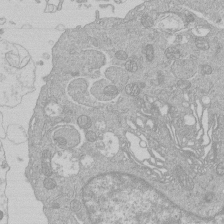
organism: Human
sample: Macrophage cells